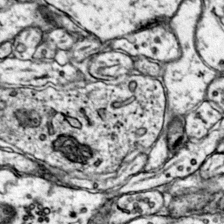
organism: Mouse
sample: Primary visual cortex